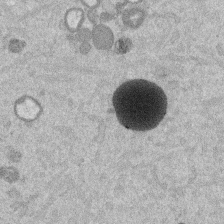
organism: Mouse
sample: Dividing mouse embryo 1 cell stage